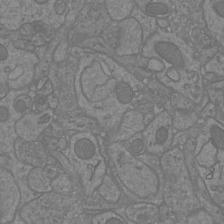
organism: Mouse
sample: Cortical neurons